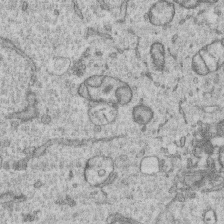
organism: Human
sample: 1205lu cells